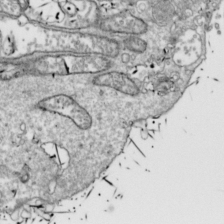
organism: Drosophila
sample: Cell division; meiosis; drosophila spermatocytes